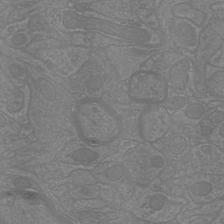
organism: Mouse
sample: Cortical neurons